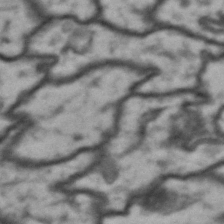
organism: Drosophila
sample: Brain